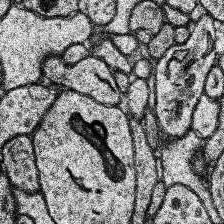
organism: Human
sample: Temporal Lobe